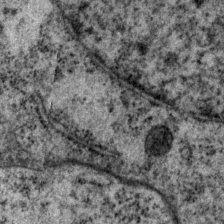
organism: P. pacificus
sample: Pharynx